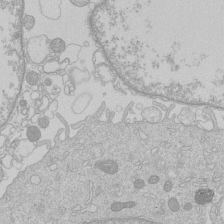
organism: Human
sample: Macrophage cells